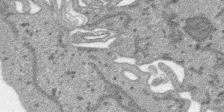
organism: Human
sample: Lung epithelial cells infected with SARS-CoV-2